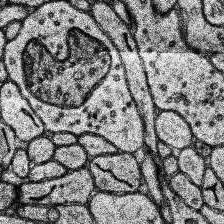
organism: Human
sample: Temporal Lobe